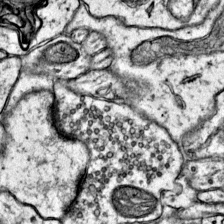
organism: Mouse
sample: Primary visual cortex